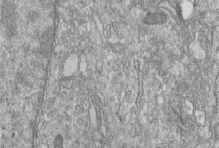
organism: Human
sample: Centriole in fibroblast cells